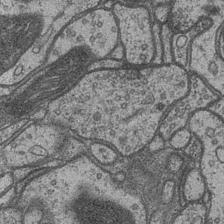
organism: Drosophila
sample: Optic medulla